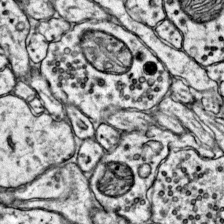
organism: Mouse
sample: Primary visual cortex